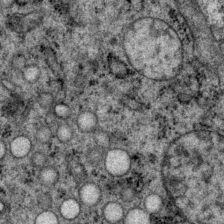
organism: P. pacificus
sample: Pharynx